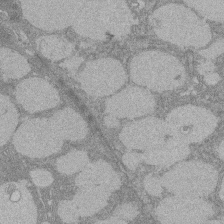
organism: Rat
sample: Salivary granule